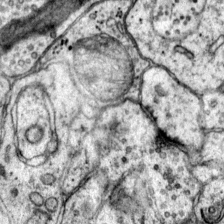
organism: Mouse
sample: Primary visual cortex